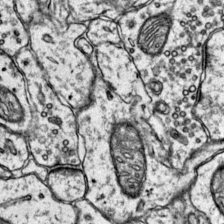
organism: Mouse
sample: Primary visual cortex